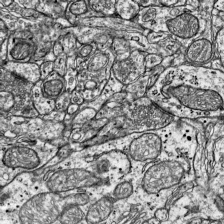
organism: Mouse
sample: Visual Cortex